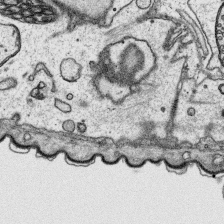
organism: Platynereis dumerilii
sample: Parapodia